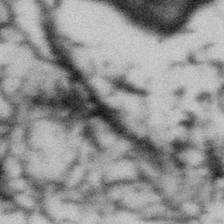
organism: Gemmata obscuriglobus